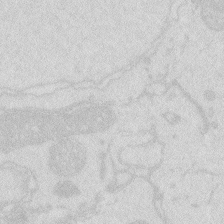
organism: Zebrafish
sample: Macrophage